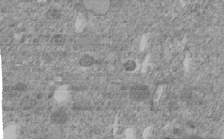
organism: C. elegans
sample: C. elegans embryo early stage